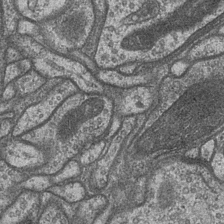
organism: Drosophila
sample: Optic medulla